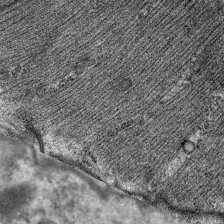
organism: C. elegans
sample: Pharynx